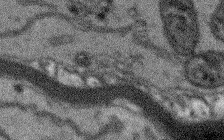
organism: Arabidopsis thaliana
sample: Root tip